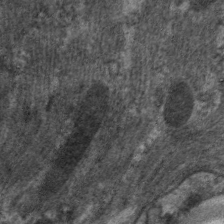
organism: C. elegans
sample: Pharynx